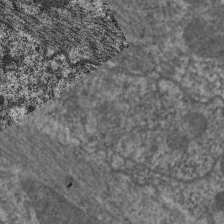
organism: C. elegans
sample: Pharynx